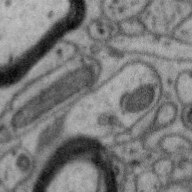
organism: Zebra finch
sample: Brain